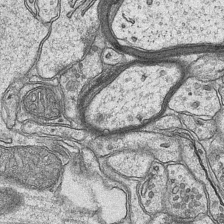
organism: Mouse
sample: CA1 Hippocampus